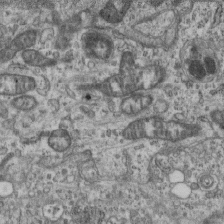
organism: Mouse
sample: Centriole in ependymal cells